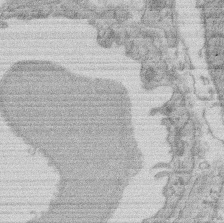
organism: Rat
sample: Salivary granule